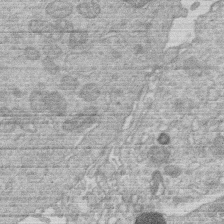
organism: Human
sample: Macrophage cells